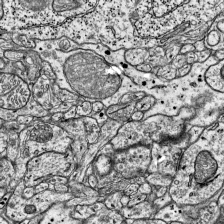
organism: Mouse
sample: Visual Cortex